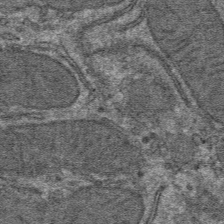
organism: Mouse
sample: Mouse hepatocytes